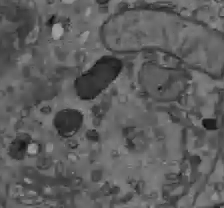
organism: C57BL Mouse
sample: Liver